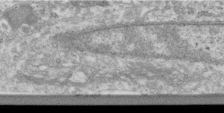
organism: Human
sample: Centriole in RPE cells